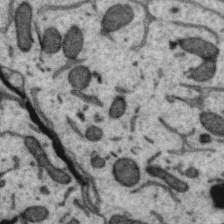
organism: Zebra finch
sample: Brain